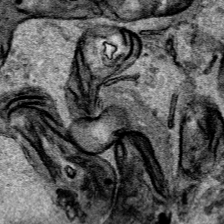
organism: Human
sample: Mitochondria in HCT116 cells